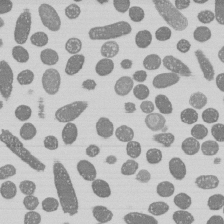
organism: E. coli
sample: Bacterial nucleoid